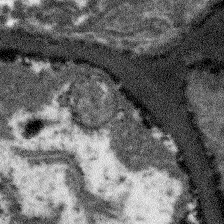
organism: Arabidopsis thaliana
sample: Root tip